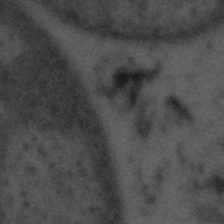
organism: Tuwongella immobilis